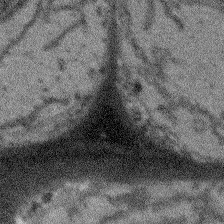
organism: Arabidopsis thaliana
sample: Root tip